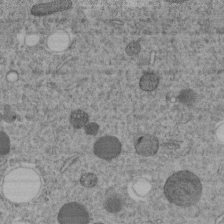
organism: C. elegans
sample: C. elegans embryo early stage